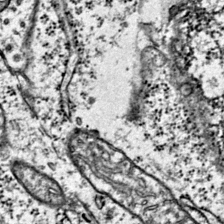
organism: Mouse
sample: Primary visual cortex